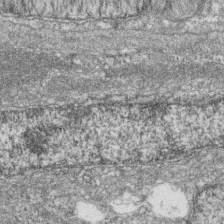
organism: Zebrafish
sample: Cilia; retinal pigment epithelium